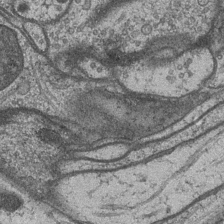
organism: Drosophila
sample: Optic medulla